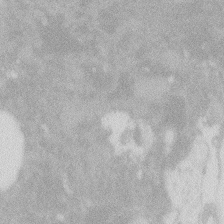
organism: Zebrafish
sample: Macrophage